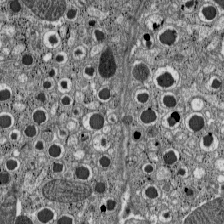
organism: C57BL Mouse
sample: Pancreatic islet